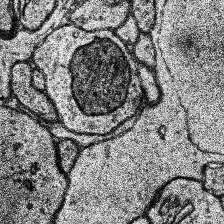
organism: Human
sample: Temporal Lobe